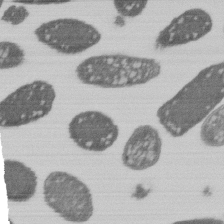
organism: E. coli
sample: Bacterial nucleoid